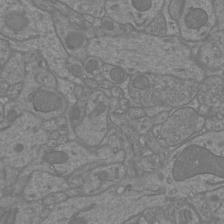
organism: Mouse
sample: Cortical neurons